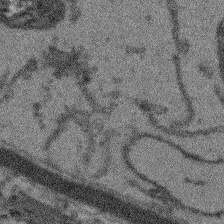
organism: Arabidopsis thaliana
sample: Root tip